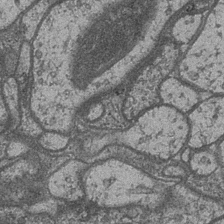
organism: Drosophila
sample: Optic medulla